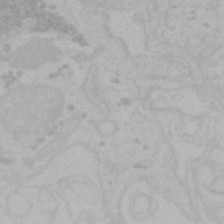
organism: Mouse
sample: Choroid plexus